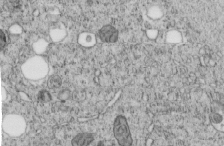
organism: C. elegans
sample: C. elegans embryo early stage